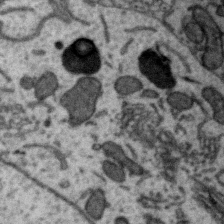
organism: Zebra finch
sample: Brain